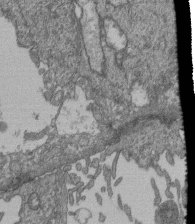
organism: Human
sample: Retinal organoid Rod and Cone cells